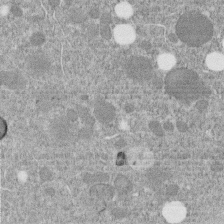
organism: C. elegans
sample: C. elegans embryo early stage